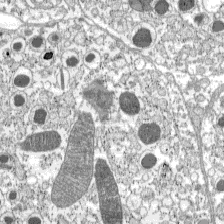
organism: C57BL Mouse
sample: Pancreatic islet